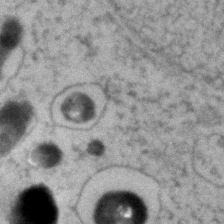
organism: Zebrafish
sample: Zebrafish embryo